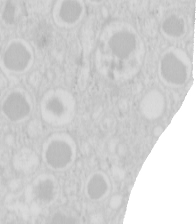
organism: Mouse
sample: Pancreas